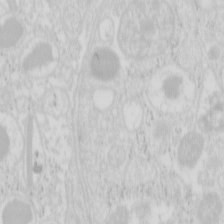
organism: Mouse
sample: Pancreas